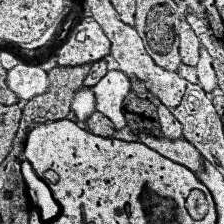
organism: Human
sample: Temporal Lobe